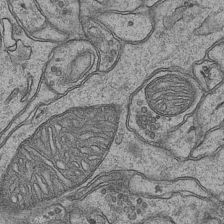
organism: Mouse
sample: CA1 Hippocampus